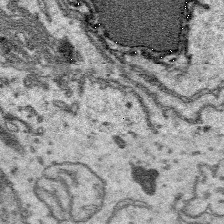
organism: Platynereis dumerilii